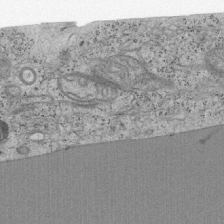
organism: Human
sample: HeLa cells